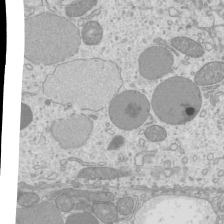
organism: Mouse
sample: Cilia; mouse epididymis